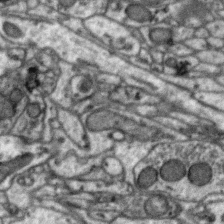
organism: Zebra finch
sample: Brain